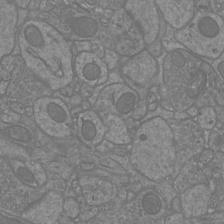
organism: Mouse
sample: Cortical neurons